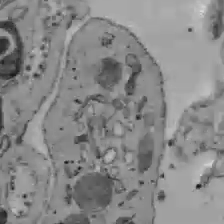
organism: C57BL Mouse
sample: Liver